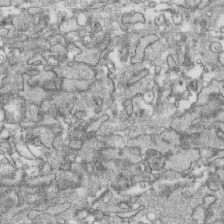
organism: Human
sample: CRL-1474